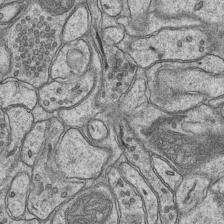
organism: Mouse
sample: CA1 Hippocampus